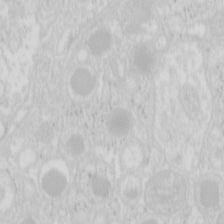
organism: Mouse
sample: Pancreas